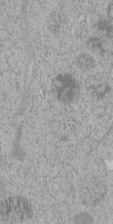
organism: C. elegans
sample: C. elegans embryo early stage